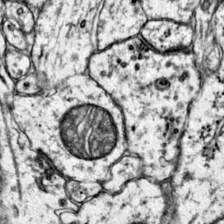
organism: Mouse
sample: Primary visual cortex